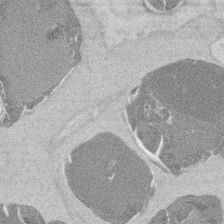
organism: Mouse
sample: T cell stromal cell synapse